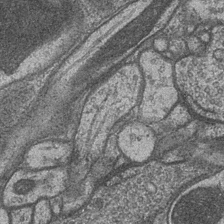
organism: Drosophila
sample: Optic medulla